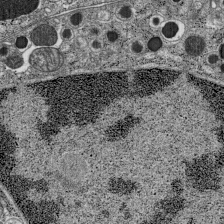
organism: C57BL Mouse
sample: Pancreatic islet